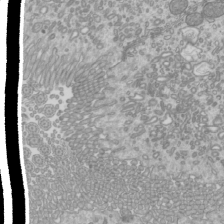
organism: Mouse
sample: Cilia; mouse epididymis